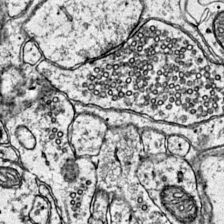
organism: Mouse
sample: Primary visual cortex